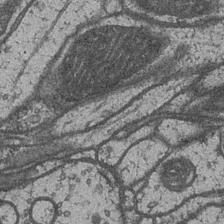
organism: Drosophila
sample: Optic medulla